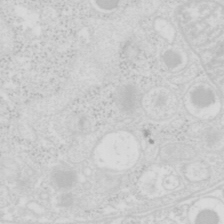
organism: Mouse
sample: Pancreas